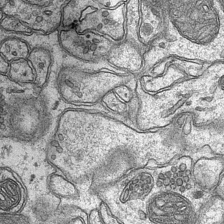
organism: Mouse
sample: CA1 Hippocampus